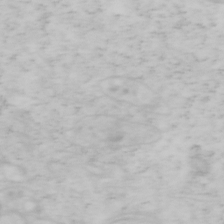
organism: Mouse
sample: OT-I killer T cells with ID8 ovarian cancer cells